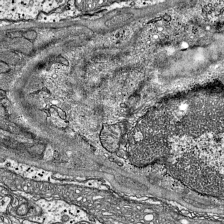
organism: Mouse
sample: Visual Cortex